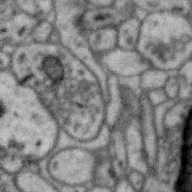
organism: Zebra finch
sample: Brain